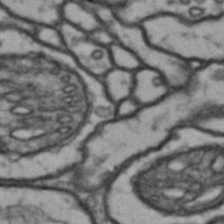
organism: Drosophila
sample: Brain